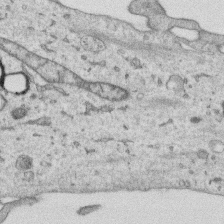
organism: Human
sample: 1205lu cells